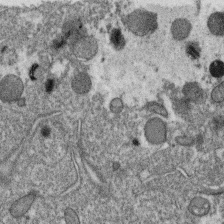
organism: C. elegans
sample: C. elegans oocyte; sperm cells